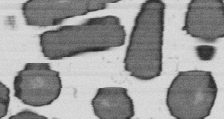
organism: B. subtilis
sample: Bacterial spore